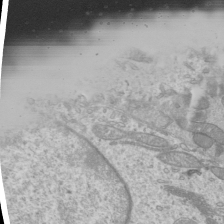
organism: Mouse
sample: Cilia; mouse epididymis